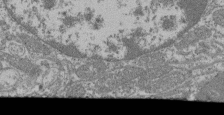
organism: Mouse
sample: Glomerulus